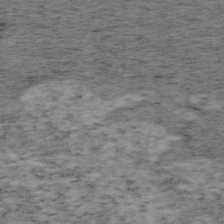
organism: Mouse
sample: OT-I killer T cells with ID8 ovarian cancer cells